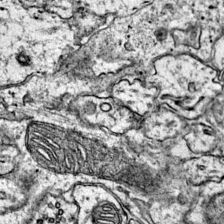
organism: Mouse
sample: Primary visual cortex